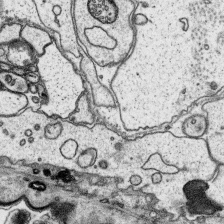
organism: Platynereis dumerilii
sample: Parapodia